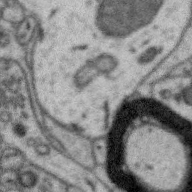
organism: Zebra finch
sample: Brain